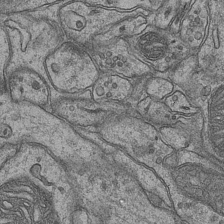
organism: Mouse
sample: CA1 Hippocampus